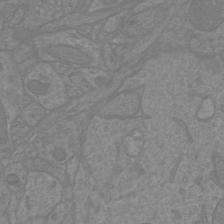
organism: Mouse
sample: Cortical neurons